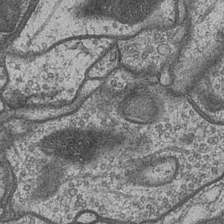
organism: Drosophila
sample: Optic medulla